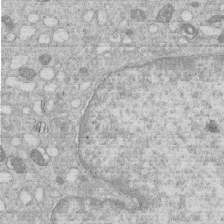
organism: Human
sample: Macrophage cells